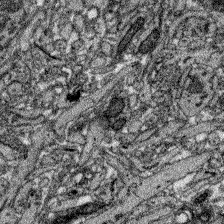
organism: Zebrafish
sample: Larval olfactory bulb